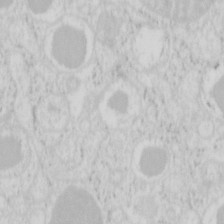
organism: Mouse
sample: Pancreas